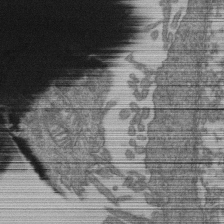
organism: Human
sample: Retinal organoid Rod and Cone cells